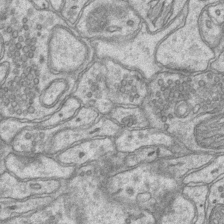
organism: Mouse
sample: CA1 Hippocampus